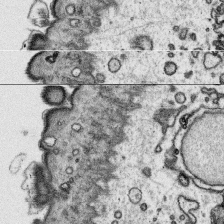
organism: Platynereis dumerilii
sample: Parapodia